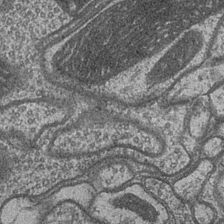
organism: Drosophila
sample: Optic medulla